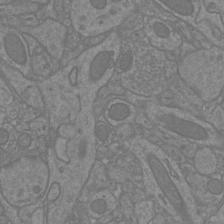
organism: Mouse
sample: Cortical neurons